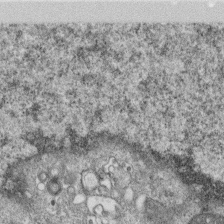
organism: African green monkey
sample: Vero E6 cells infected with SARS-CoV-2